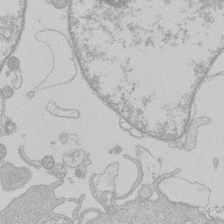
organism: Human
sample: Macrophage cells